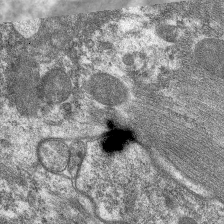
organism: C. elegans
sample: Pharynx